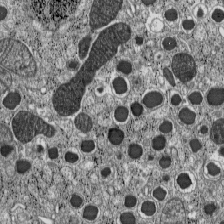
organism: C57BL Mouse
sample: Pancreatic islet